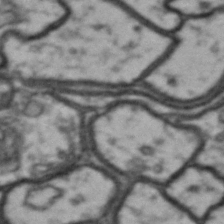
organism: Drosophila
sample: Brain